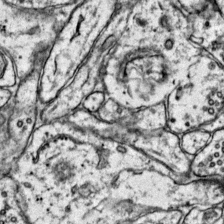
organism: Mouse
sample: Primary visual cortex